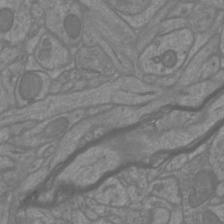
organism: Mouse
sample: Cortical neurons